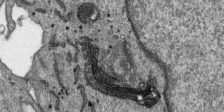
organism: Human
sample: Lung epithelial cells, uninfected (mock) control